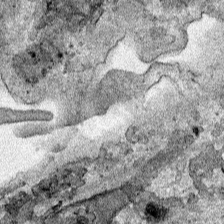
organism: Human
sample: Mitochondria in HCT116 cells